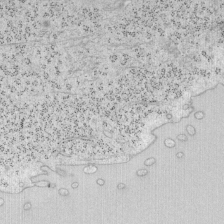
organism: Mouse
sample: OT-I killer T cells with ID8 ovarian cancer cells